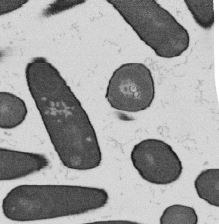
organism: B. subtilis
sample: Bacterial spore